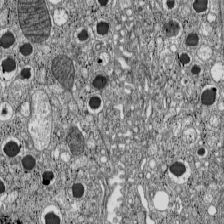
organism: C57BL Mouse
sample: Pancreatic islet